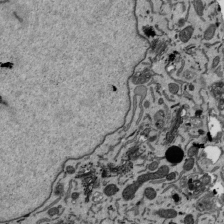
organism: Mouse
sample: ED-1 cell nuclei; centrioles